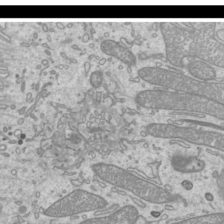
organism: Mouse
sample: Cilia; mouse epididymis